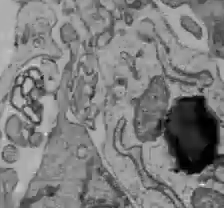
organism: C57BL Mouse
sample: Liver